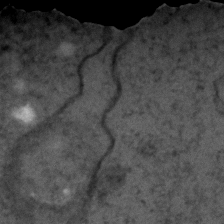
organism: C. elegans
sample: C. elegans embryo